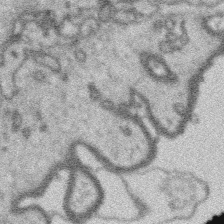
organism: Platynereis dumerilii